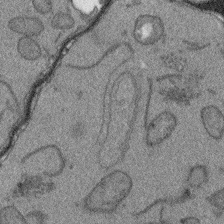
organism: Arabidopsis thaliana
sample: Root tip